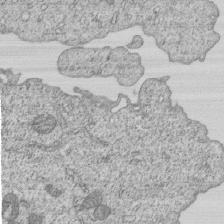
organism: Human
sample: MDA-MB-231 cells